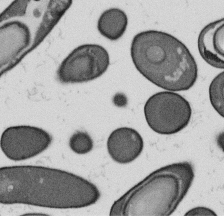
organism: B. subtilis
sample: Bacterial spore